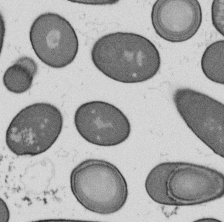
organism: B. subtilis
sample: Bacterial spore